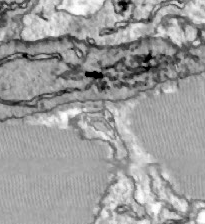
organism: Zebrafish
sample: Actinotrichia fibers